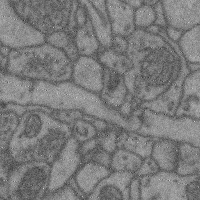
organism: Mouse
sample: Cerebral cortex